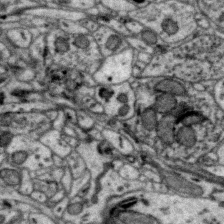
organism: Zebra finch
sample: Brain